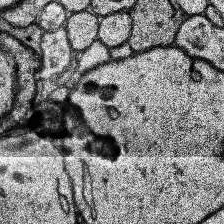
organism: Human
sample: Temporal Lobe